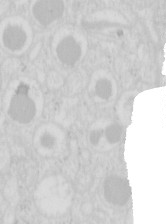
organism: Mouse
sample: Pancreas